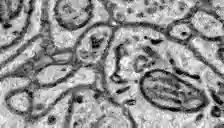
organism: Zebrafish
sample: Brain